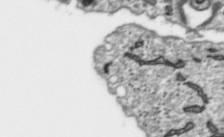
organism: Toxoplasma gondii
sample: Parasites in a vacuole inside a host cell